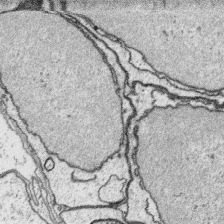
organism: Platynereis dumerilii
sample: Parapodia